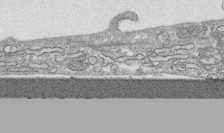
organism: Human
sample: CRL-1474